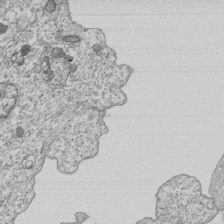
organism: Human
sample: MDA-MB-231 cells